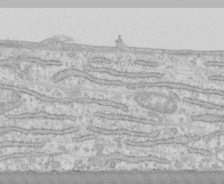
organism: Human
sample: CRL-1474